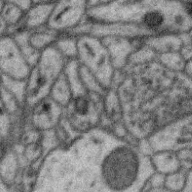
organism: Zebra finch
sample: Brain